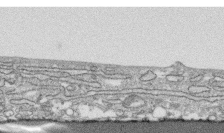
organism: Human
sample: CRL-1474